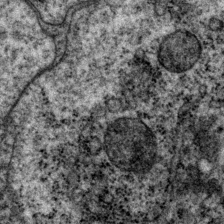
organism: P. pacificus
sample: Pharynx